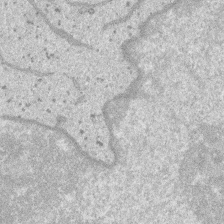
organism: Human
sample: Lung epithelial cells infected with SARS-CoV-2